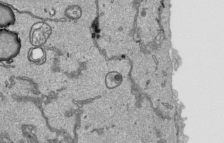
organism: Human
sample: Mitochondria in HCT116 cells